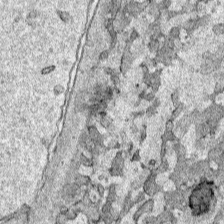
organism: Human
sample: Mitochondria in HCT116 cells